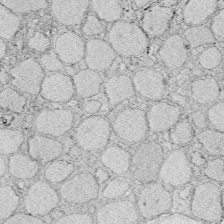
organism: Zebrafish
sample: Whole-Brain